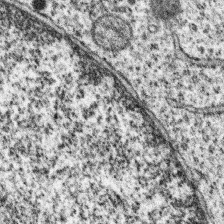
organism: Human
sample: HeLa cells